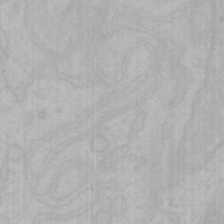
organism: Mouse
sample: Choroid plexus